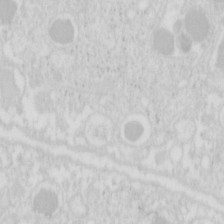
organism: Mouse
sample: Pancreas